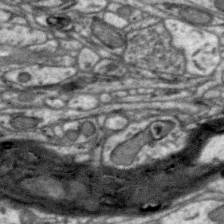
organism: Zebra finch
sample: Brain